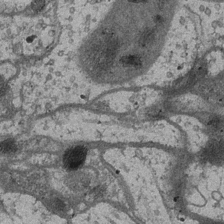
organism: Drosophila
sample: Optic medulla